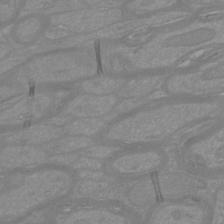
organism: Mouse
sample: Cortical neurons